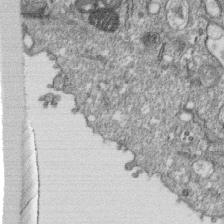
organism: African green monkey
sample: Vero E6 cells infected with SARS-CoV-2